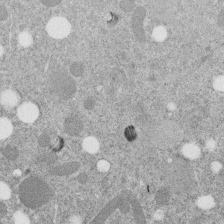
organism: C. elegans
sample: C. elegans embryo early stage